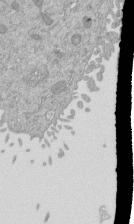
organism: Mouse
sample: ED-1 cell nuclei; centrioles